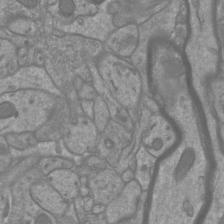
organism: Mouse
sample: Cortical neurons